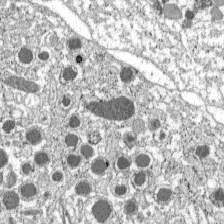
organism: C57BL Mouse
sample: Pancreatic islet